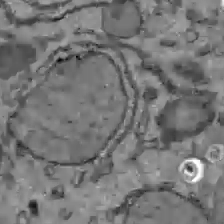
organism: C57BL Mouse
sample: Liver